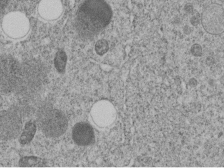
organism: C. elegans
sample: C. elegans embryo early stage